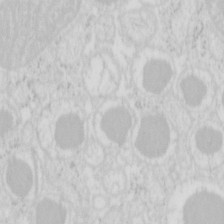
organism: Mouse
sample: Pancreas